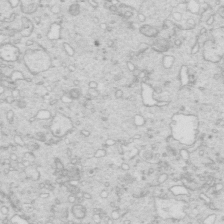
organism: Mouse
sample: Multiciliated cells